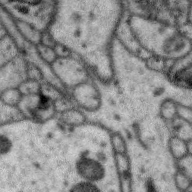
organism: Zebra finch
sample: Brain